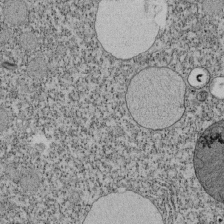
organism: Tetrahymena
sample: Cilia in tetrahymena